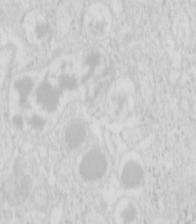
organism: Mouse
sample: Pancreas